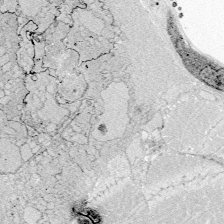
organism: Zebrafish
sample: Whole-Brain